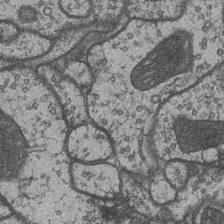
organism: Drosophila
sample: Optic medulla